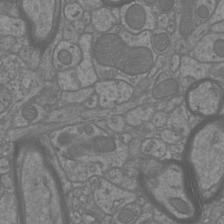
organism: Mouse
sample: Cortical neurons